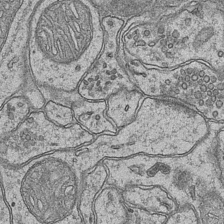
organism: Mouse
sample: CA1 Hippocampus